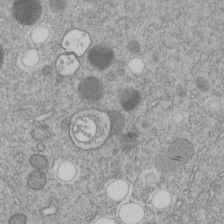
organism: C. elegans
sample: C. elegans embryo early stage